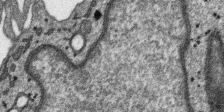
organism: Human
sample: Lung epithelial cells infected with SARS-CoV-2